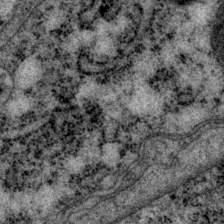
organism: P. pacificus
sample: Pharynx